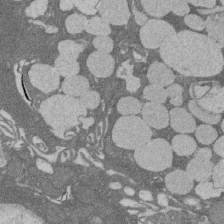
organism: Rat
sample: Salivary granule